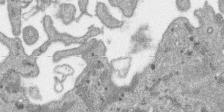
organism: Human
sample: Lung epithelial cells infected with SARS-CoV-2